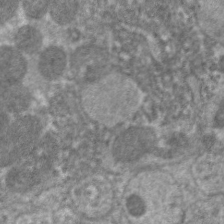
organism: C. elegans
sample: Pharynx